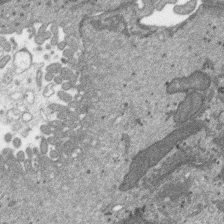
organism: Human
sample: Lung epithelial cells infected with SARS-CoV-2